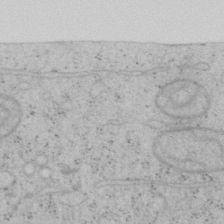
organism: Human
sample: HeLa cells